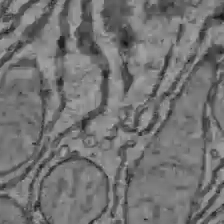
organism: C57BL Mouse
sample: Liver